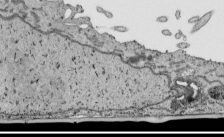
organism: Human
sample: Mitochondria in HCT116 cells